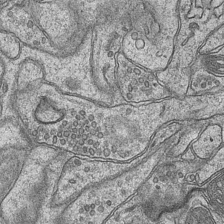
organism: Mouse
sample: CA1 Hippocampus